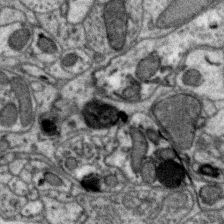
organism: Zebra finch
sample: Brain